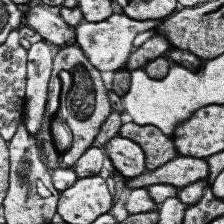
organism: Human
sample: Temporal Lobe